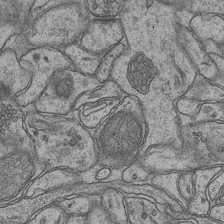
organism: Mouse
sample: CA1 Hippocampus